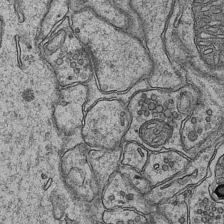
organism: Mouse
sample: CA1 Hippocampus